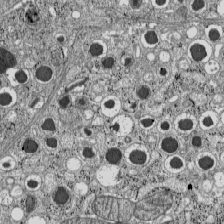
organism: C57BL Mouse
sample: Pancreatic islet